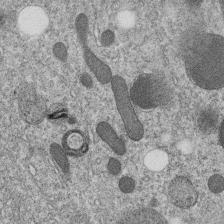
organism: C. elegans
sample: C. elegans embryo early stage